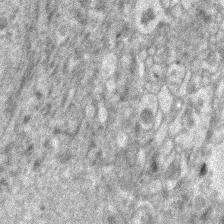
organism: Human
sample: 1205lu cells